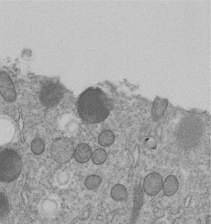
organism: C. elegans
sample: C. elegans embryo early stage